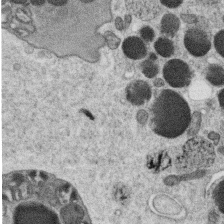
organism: C. elegans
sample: C. elegans oocyte; sperm cells